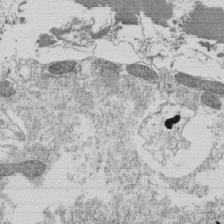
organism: Tetrahymena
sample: Cilia in tetrahymena